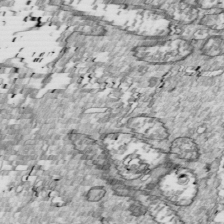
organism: Drosophila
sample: Cell division; meiosis; drosophila spermatocytes